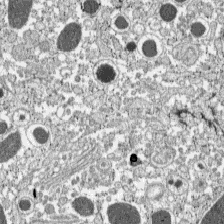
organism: C57BL Mouse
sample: Pancreatic islet